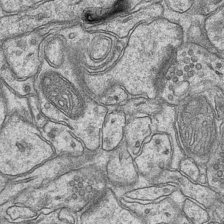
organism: Mouse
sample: CA1 Hippocampus